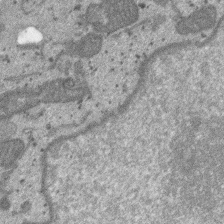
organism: Human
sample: Lung epithelial cells infected with SARS-CoV-2